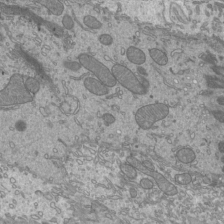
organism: Mouse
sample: Cilia; mouse epididymis